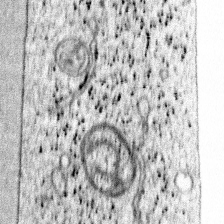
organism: Human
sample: HeLa cells